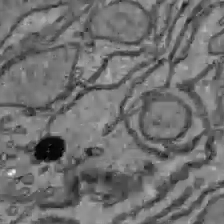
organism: C57BL Mouse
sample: Liver